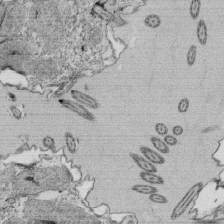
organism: Tetrahymena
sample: Cilia in tetrahymena